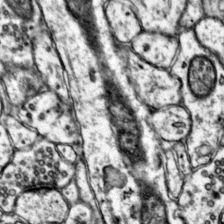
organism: Mouse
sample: Primary visual cortex